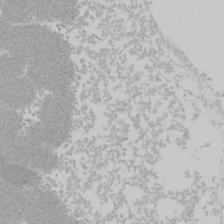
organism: Mouse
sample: Cancer cell death in ED-1 cells